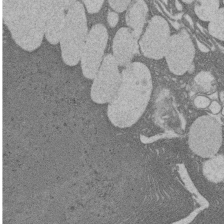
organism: Rat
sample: Salivary granule